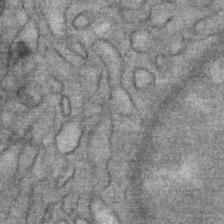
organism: Mouse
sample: Mouse Salivary gland